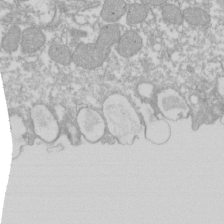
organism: Xenopus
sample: Cilia; centrioles in frog embryo cells